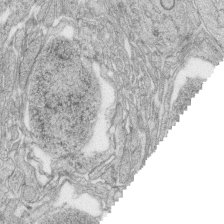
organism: Zebrafish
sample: synaptic ribbons in rod cells and cone cells